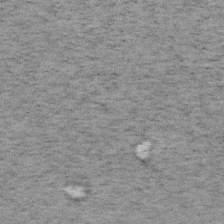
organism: Mouse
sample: OT-I killer T cells with ID8 ovarian cancer cells